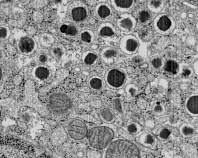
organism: C57BL Mouse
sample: Pancreatic islet